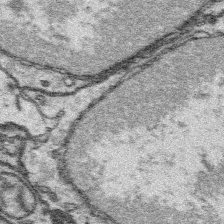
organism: Platynereis dumerilii